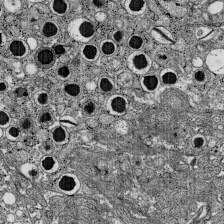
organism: C57BL Mouse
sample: Pancreatic islet